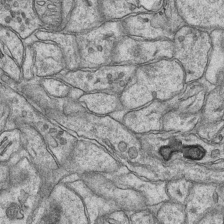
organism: Mouse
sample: CA1 Hippocampus